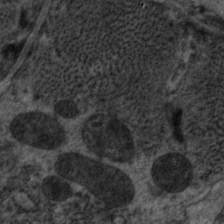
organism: C. elegans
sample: Pharynx